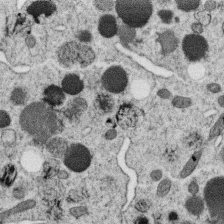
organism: C. elegans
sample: C. elegans oocyte; sperm cells